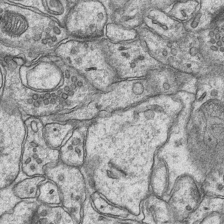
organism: Mouse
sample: CA1 Hippocampus